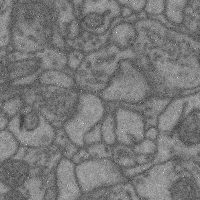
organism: Mouse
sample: Cerebral cortex